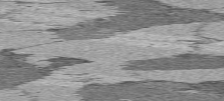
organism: C57BL Mouse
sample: Heart